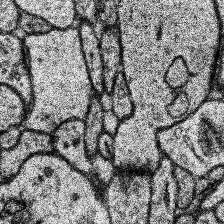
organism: Human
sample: Temporal Lobe